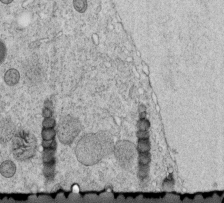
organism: C. elegans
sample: C. elegans embryo early stage